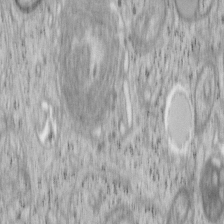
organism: Human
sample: HeLa cells